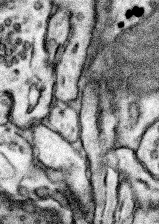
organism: Mouse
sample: Somatosensory cortex neuropil